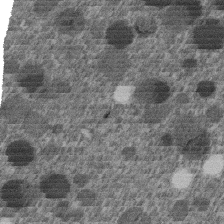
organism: C. elegans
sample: C. elegans embryo early stage